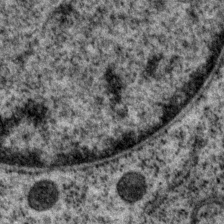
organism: P. pacificus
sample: Pharynx